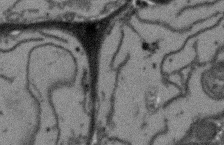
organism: Arabidopsis thaliana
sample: Root tip